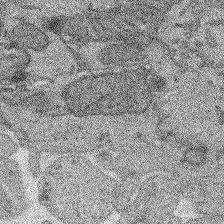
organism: Human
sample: HeLa cells